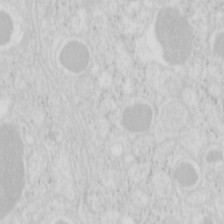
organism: Mouse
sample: Pancreas